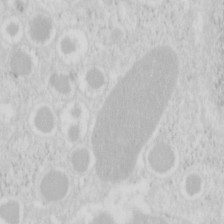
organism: Mouse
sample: Pancreas